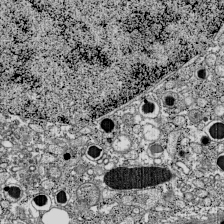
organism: C57BL Mouse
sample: Pancreatic islet